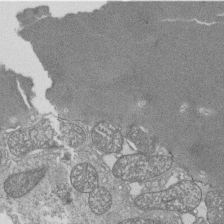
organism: Tetrahymena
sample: Cilia in tetrahymena